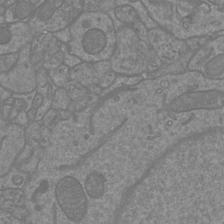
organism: Mouse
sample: Cortical neurons